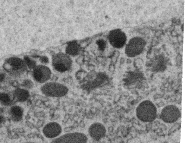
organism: C. elegans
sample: C. elegans oocyte; sperm cells